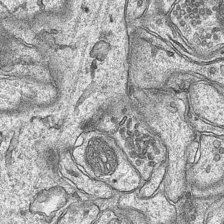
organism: Mouse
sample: CA1 Hippocampus